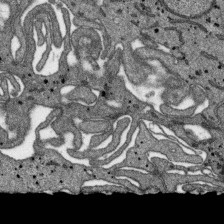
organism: Human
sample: Lung epithelial cells, uninfected (mock) control